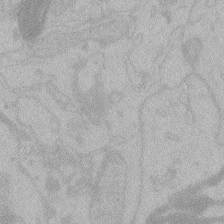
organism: Zebrafish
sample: Macrophage infected with Toxoplasma gondii